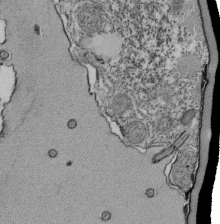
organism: Tetrahymena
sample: Cilia in tetrahymena